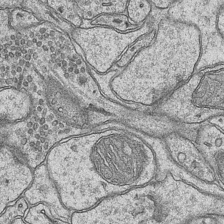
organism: Mouse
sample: CA1 Hippocampus